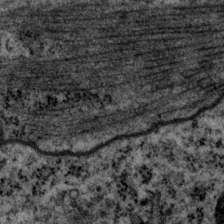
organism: P. pacificus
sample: Pharynx